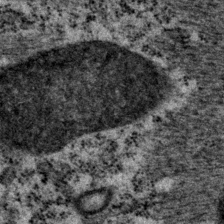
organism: P. pacificus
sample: Pharynx